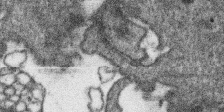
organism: Human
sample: Lung epithelial cells infected with SARS-CoV-2